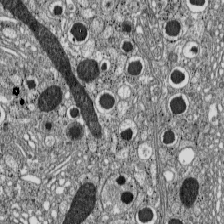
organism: C57BL Mouse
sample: Pancreatic islet